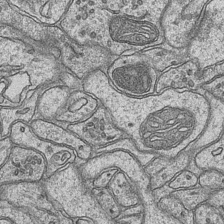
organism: Mouse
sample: CA1 Hippocampus